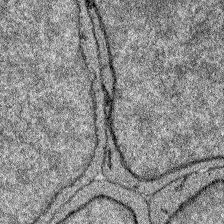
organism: Zebrafish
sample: Larval olfactory bulb